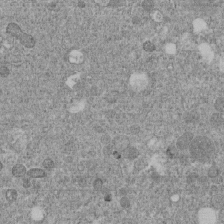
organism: C. elegans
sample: C. elegans embryo early stage